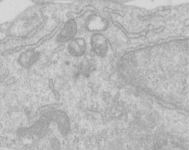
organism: Human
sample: Centriole in RPE cells